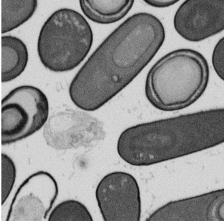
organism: B. subtilis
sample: Bacterial spore